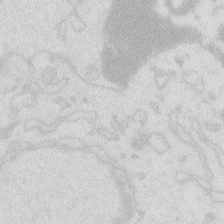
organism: Zebrafish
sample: Macrophage